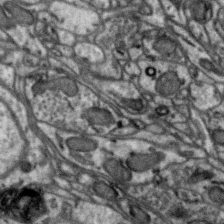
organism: Zebra finch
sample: Brain